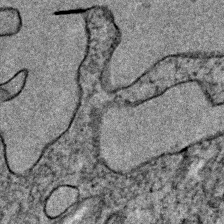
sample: Trachea